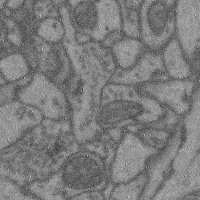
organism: Mouse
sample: Cerebral cortex